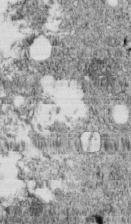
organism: C. elegans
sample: C. elegans embryo early stage